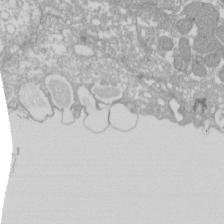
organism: Xenopus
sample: Cilia; centrioles in frog embryo cells